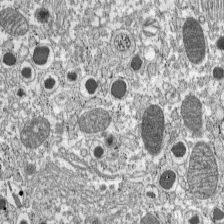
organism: C57BL Mouse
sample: Pancreatic islet